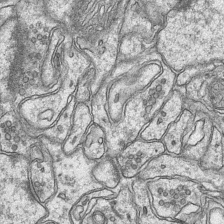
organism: Mouse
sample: CA1 Hippocampus